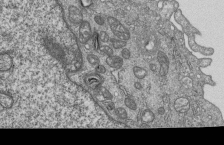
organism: Human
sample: MDA-MB-231 cells